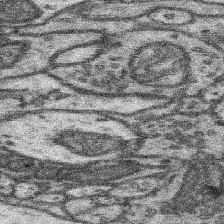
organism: Mouse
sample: Somatosensory cortex neuropil